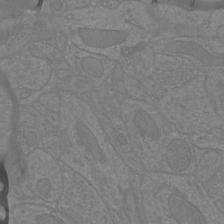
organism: Mouse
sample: Cortical neurons